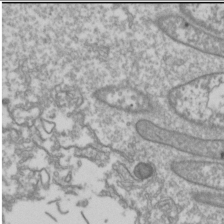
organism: Drosophila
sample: Cell division; meiosis; drosophila spermatocytes